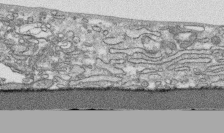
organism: Human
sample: CRL-1474